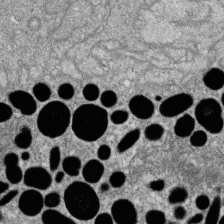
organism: Zebrafish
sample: Cilia; retinal pigment epithelium